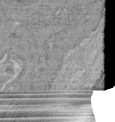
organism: Mouse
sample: Glomerulus